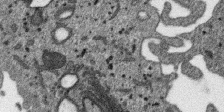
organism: Human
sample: Lung epithelial cells infected with SARS-CoV-2